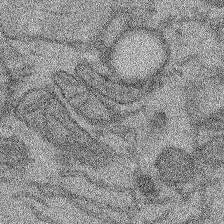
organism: Human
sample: HeLa cells